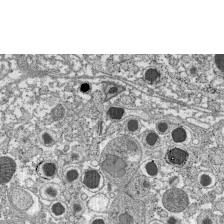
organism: C57BL Mouse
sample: Pancreatic islet